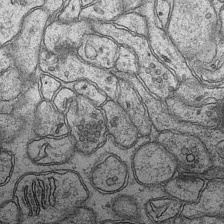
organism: Mouse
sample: CA1 Hippocampus